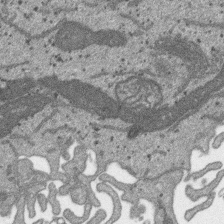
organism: Human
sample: Lung epithelial cells infected with SARS-CoV-2